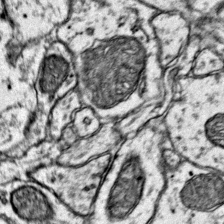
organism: Mouse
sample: Primary visual cortex